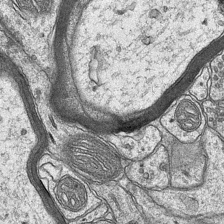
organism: Mouse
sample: CA1 Hippocampus